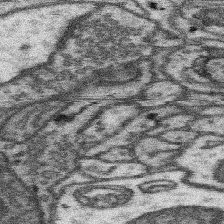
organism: Mouse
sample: Somatosensory cortex neuropil